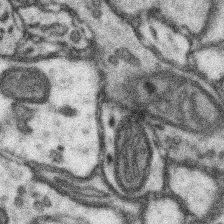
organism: Mouse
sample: Somatosensory cortex neuropil